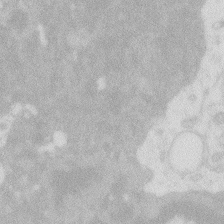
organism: Zebrafish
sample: Macrophage